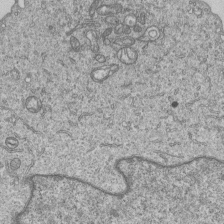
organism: Human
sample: MDA-MB-231 cells